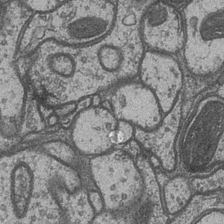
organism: Drosophila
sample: Optic medulla